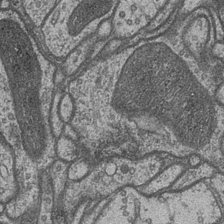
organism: Drosophila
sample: Optic medulla